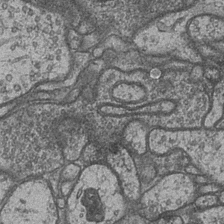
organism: Drosophila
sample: Optic medulla